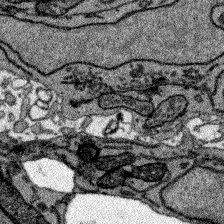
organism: Zebrafish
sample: Larval olfactory bulb